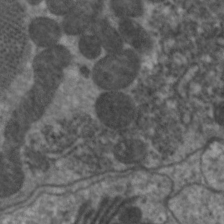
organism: C. elegans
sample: Pharynx